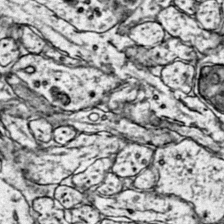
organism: Mouse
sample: Primary visual cortex